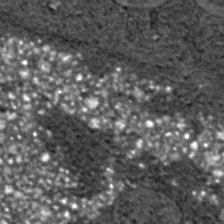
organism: C. elegans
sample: C. elegans embryo